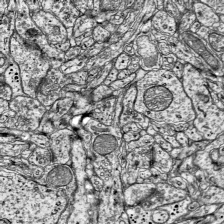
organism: Mouse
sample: Visual Cortex